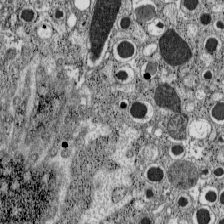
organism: C57BL Mouse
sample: Pancreatic islet